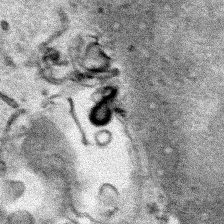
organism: Human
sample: Mitochondria in HCT116 cells